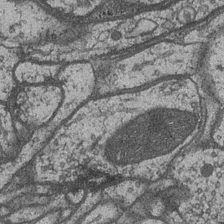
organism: Drosophila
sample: Optic medulla